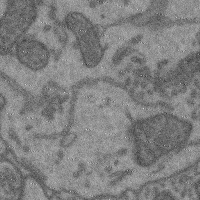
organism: Mouse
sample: Cerebral cortex